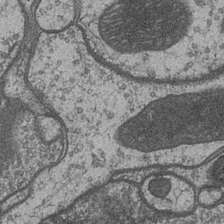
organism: Drosophila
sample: Optic medulla